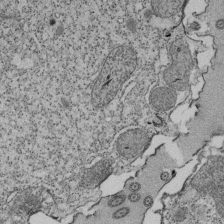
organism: Tetrahymena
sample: Cilia in tetrahymena